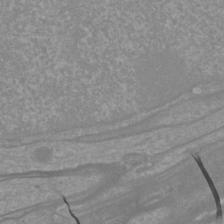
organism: Mouse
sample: Cortical neurons